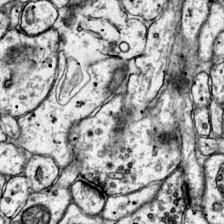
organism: Mouse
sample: Primary visual cortex